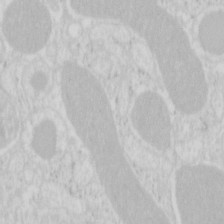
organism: Mouse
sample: Pancreas